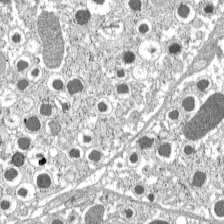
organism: C57BL Mouse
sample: Pancreatic islet